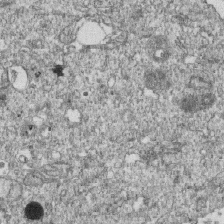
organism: Human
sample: HeLa cell HIV synapse